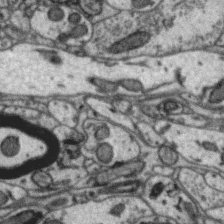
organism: Zebra finch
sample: Brain